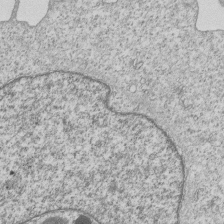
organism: Human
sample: MDA-MB-231 cells